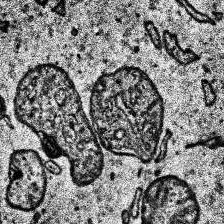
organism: Human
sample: Temporal Lobe